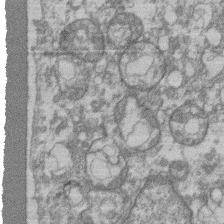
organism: Mouse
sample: T cell stromal cell synapse